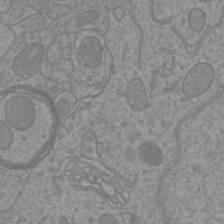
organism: Mouse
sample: Cortical neurons